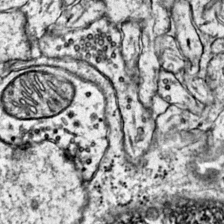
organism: Mouse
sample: Primary visual cortex